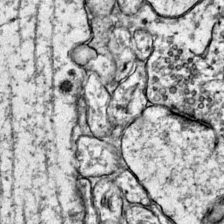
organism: Mouse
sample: Primary visual cortex